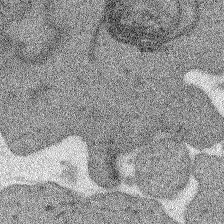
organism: Human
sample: HeLa cells